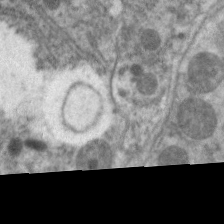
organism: C. elegans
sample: Pharynx